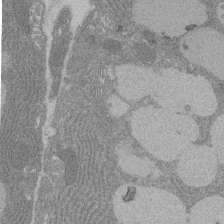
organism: Rat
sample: Salivary granule